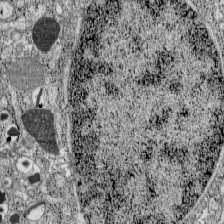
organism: C57BL Mouse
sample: Pancreatic islet